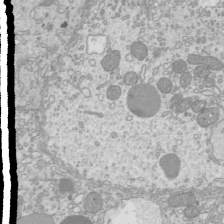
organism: Mouse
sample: Cilia; mouse epididymis